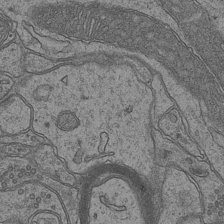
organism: Mouse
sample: CA1 Hippocampus